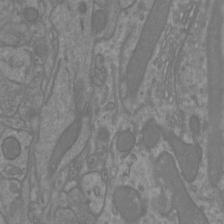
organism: Mouse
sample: Cortical neurons